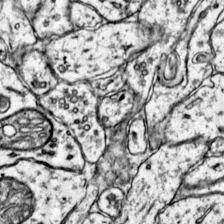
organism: Mouse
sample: Primary visual cortex